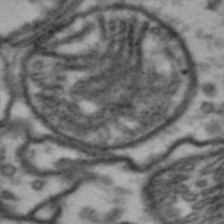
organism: Drosophila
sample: Brain